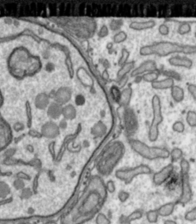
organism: Toxoplasma gondii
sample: Parasites in a vacuole inside a host cell